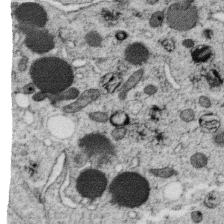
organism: C. elegans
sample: C. elegans oocyte; sperm cells